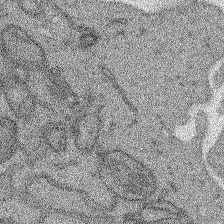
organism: Human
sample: HeLa cells